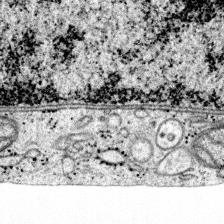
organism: Human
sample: HeLa cells